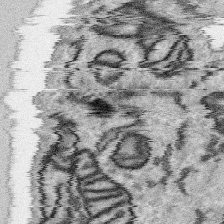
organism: Human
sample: HeLa cells